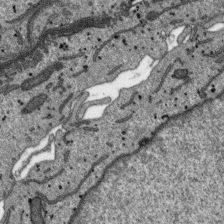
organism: Human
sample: Lung epithelial cells, uninfected (mock) control